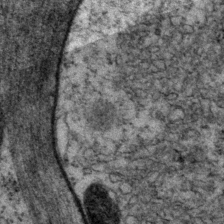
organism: P. pacificus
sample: Pharynx